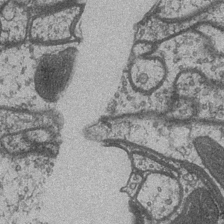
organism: Drosophila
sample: Optic medulla